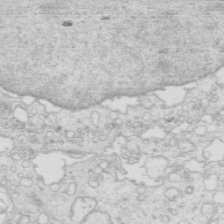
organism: Mouse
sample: Multiciliated cells